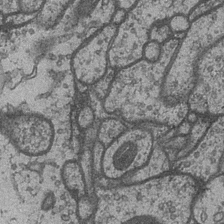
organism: Drosophila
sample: Optic medulla